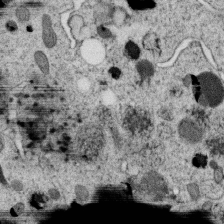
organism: C. elegans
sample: C. elegans oocyte; sperm cells